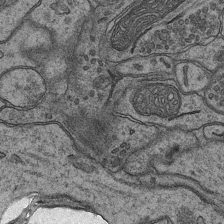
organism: Mouse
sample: CA1 Hippocampus